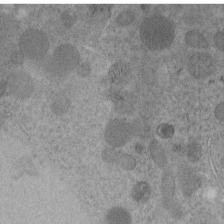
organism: C. elegans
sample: C. elegans embryo early stage